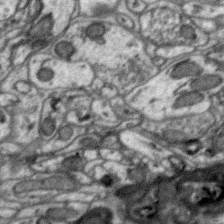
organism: Zebra finch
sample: Brain